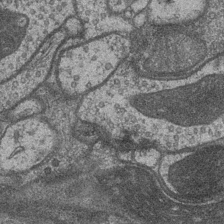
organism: Drosophila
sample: Optic medulla